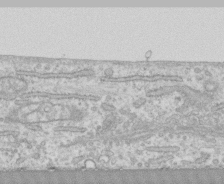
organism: Human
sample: CRL-1474